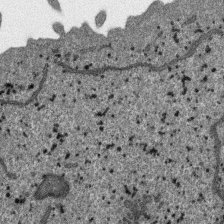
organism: Human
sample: Lung epithelial cells infected with SARS-CoV-2